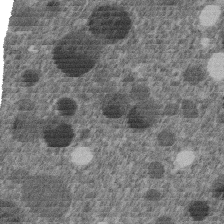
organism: C. elegans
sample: C. elegans embryo early stage